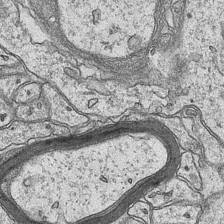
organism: Mouse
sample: CA1 Hippocampus